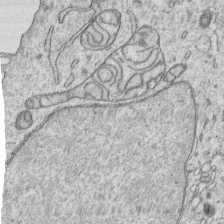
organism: Human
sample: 1205lu cells